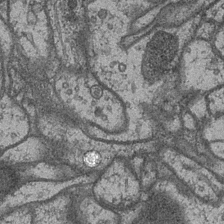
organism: Drosophila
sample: Optic medulla